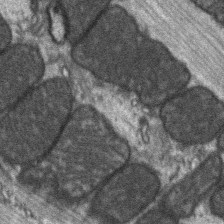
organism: C57BL Mouse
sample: Soleus